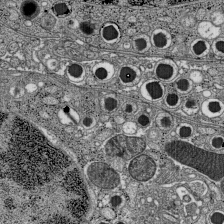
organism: C57BL Mouse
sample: Pancreatic islet